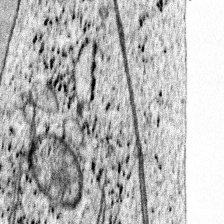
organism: Human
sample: HeLa cells